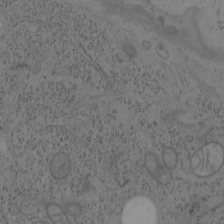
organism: Mouse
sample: OT-I killer T cells with ID8 ovarian cancer cells